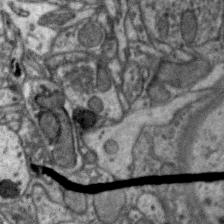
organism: Zebra finch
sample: Brain